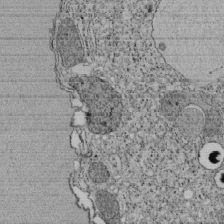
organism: Tetrahymena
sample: Cilia in tetrahymena